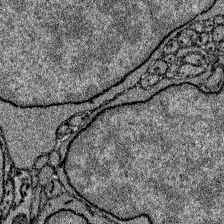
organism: Zebrafish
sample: Larval olfactory bulb